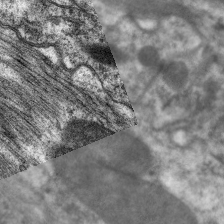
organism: C. elegans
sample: Pharynx